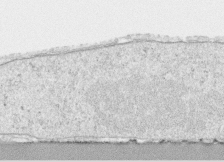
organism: Human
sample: CRL-1474